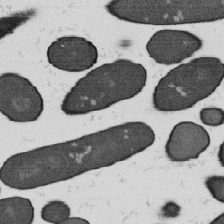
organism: B. subtilis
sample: Bacterial spore